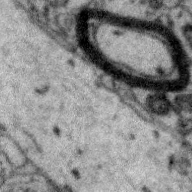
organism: Zebra finch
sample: Brain